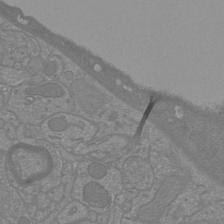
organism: Mouse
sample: Cortical neurons